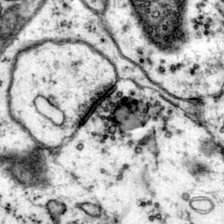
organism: Mouse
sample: Primary visual cortex